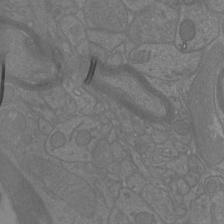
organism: Mouse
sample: Cortical neurons